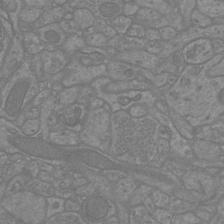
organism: Mouse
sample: Cortical neurons